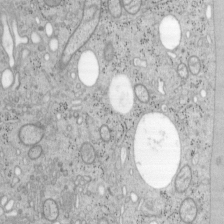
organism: Mouse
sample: OT-I killer T cells with ID8 ovarian cancer cells